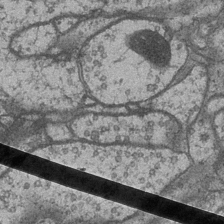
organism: Drosophila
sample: Optic medulla